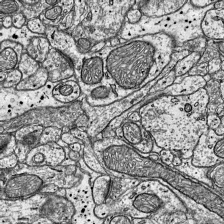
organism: Mouse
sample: Visual Cortex